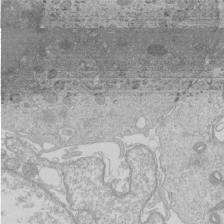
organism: Human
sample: Macrophage cells